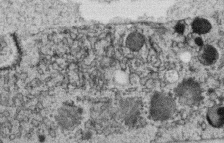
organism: C. elegans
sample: C. elegans oocyte; sperm cells